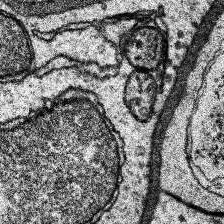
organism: Human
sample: Temporal Lobe